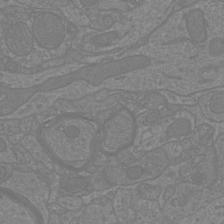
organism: Mouse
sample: Cortical neurons